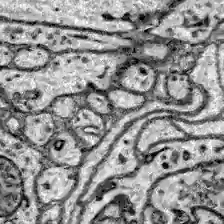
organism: Zebrafish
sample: Brain